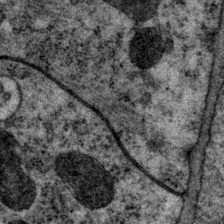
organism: P. pacificus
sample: Pharynx